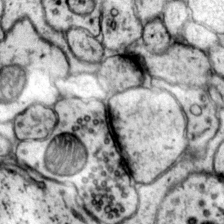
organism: Mouse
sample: Primary visual cortex